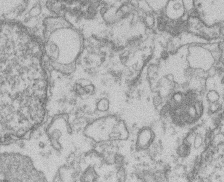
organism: Mouse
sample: T cell stromal cell synapse